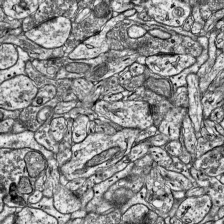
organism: Mouse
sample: Visual Cortex